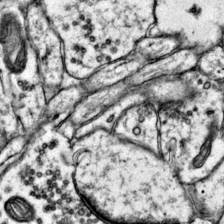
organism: Mouse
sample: Primary visual cortex